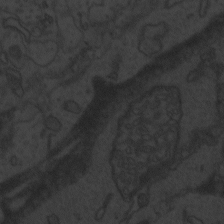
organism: Zebrafish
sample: Macrophage infected with Toxoplasma gondii